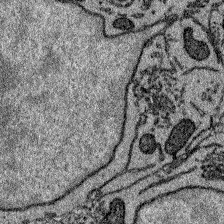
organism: Zebrafish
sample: Larval olfactory bulb